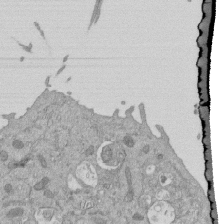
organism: Mouse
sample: ED-1 cell nuclei; centrioles